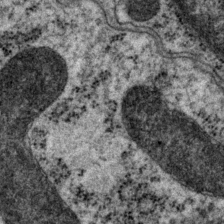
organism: P. pacificus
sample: Pharynx